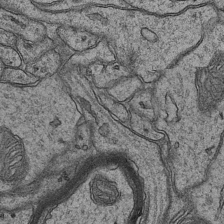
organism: Mouse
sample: CA1 Hippocampus